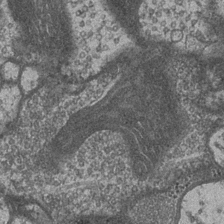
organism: Drosophila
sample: Optic medulla